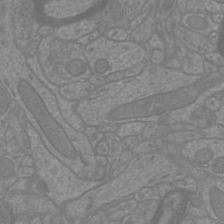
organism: Mouse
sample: Cortical neurons